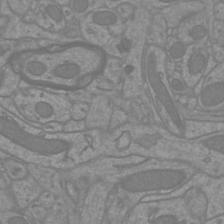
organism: Mouse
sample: Cortical neurons